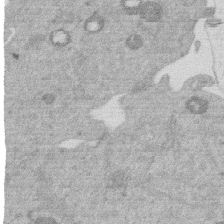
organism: Mouse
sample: Dividing mouse embryo 1 cell stage